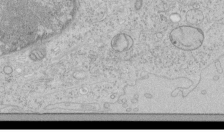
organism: Human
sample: Mitochondria in HCT116 cells